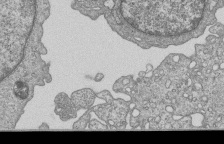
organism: Human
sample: MDA-MB-231 cells